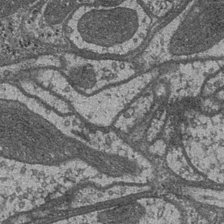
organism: Drosophila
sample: Optic medulla